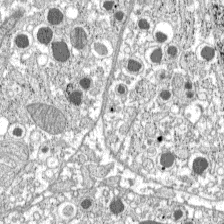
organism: C57BL Mouse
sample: Pancreatic islet